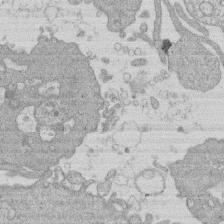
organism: Human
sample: Macrophage cells